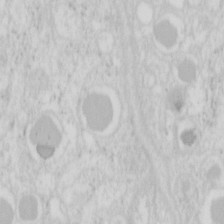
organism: Mouse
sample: Pancreas